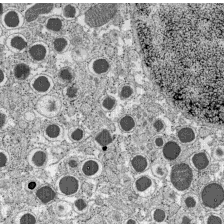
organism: C57BL Mouse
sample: Pancreatic islet